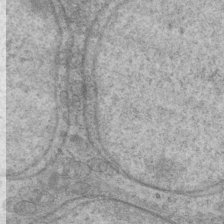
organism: Mouse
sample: Cilia; mouse epididymis